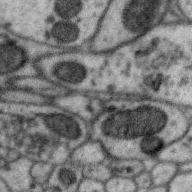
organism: Zebra finch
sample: Brain